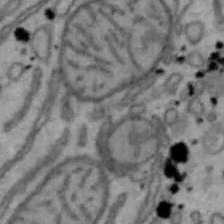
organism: Mouse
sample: Liver